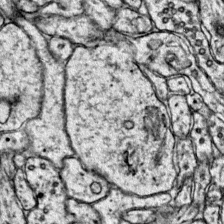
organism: Mouse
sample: Primary visual cortex